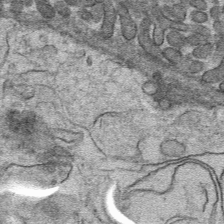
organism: Mouse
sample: Mouse hepatocytes